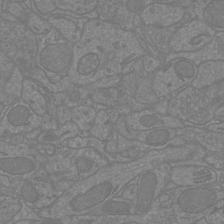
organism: Mouse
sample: Cortical neurons